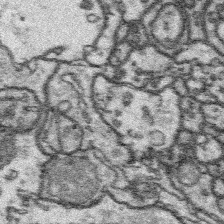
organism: Platynereis dumerilii